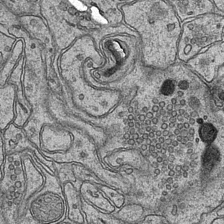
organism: Mouse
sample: CA1 Hippocampus